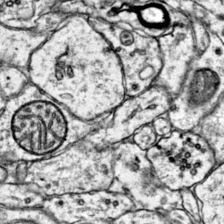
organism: Mouse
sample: Primary visual cortex